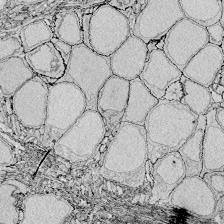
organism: Zebrafish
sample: Whole-Brain